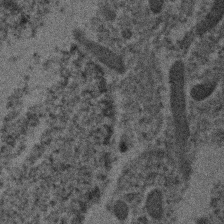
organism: Human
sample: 1205lu cells